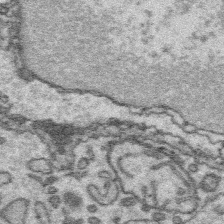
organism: Platynereis dumerilii